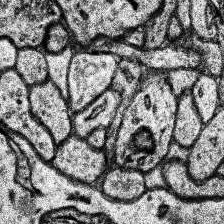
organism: Human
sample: Temporal Lobe